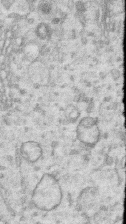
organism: Human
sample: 1205lu cells